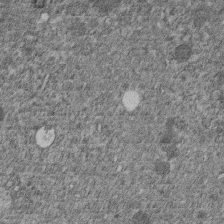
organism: C. elegans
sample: C. elegans embryo early stage